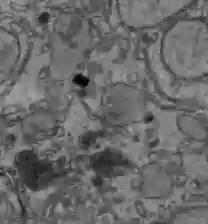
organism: C57BL Mouse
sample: Liver